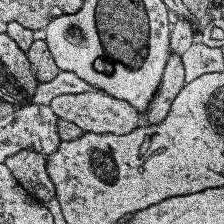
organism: Human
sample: Temporal Lobe